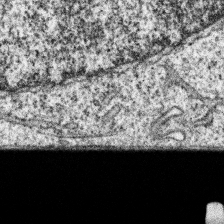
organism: Human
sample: HeLa cells